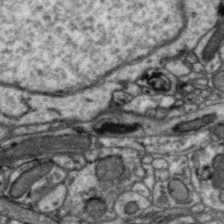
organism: Zebra finch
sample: Brain